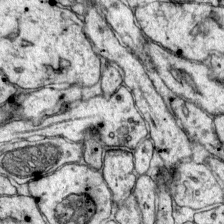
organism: Mouse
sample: Primary visual cortex